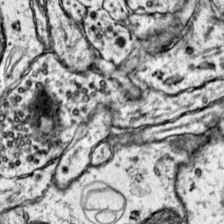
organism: Mouse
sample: Primary visual cortex